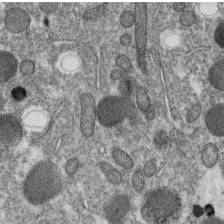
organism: C. elegans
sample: C. elegans oocyte; sperm cells